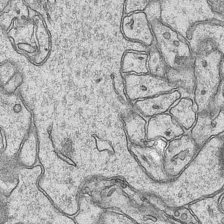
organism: Mouse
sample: CA1 Hippocampus